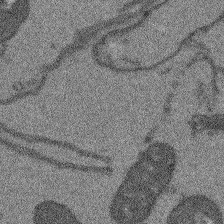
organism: Arabidopsis thaliana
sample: Root tip